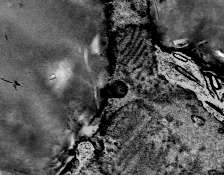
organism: Mouse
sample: Mouse Salivary gland